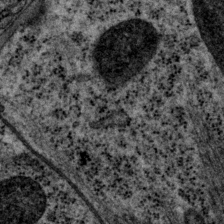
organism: P. pacificus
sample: Pharynx